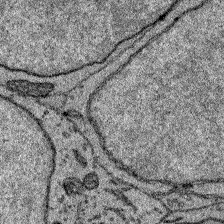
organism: Zebrafish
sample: Larval olfactory bulb